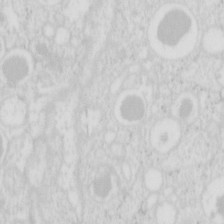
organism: Mouse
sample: Pancreas